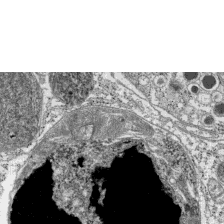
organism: C57BL Mouse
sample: Pancreatic islet